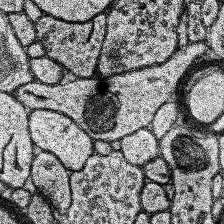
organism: Human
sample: Temporal Lobe